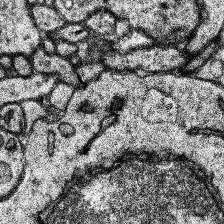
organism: Human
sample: Temporal Lobe